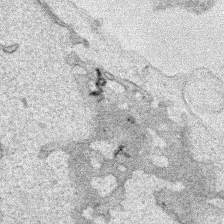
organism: Human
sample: Mitochondria in HCT116 cells